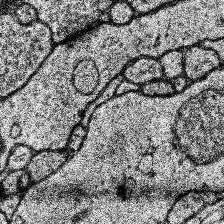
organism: Human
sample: Temporal Lobe